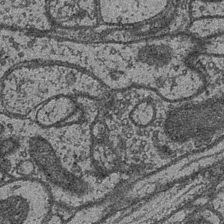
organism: Drosophila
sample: Optic medulla